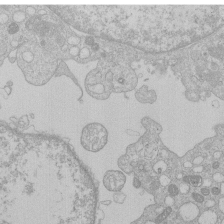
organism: Human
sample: Macrophage cells